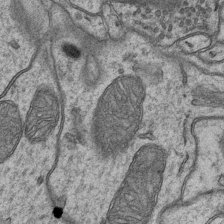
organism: Mouse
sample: CA1 Hippocampus